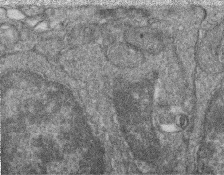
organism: Zebrafish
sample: Cilia; retinal pigment epithelium